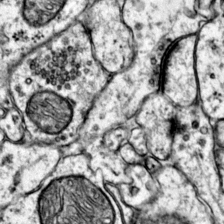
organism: Mouse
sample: Primary visual cortex